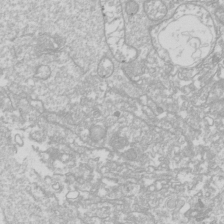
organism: Drosophila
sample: Cell division; meiosis; drosophila spermatocytes